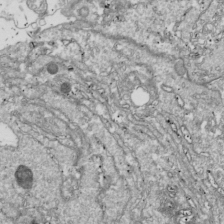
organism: Drosophila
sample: Cell division; meiosis; drosophila spermatocytes